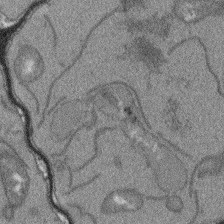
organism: Arabidopsis thaliana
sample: Root tip